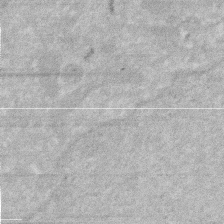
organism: Human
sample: HIV infected U937 cells